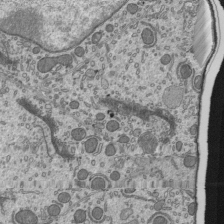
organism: Mouse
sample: Mouse epididymis efferent ductule cilia